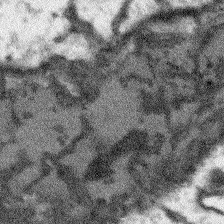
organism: Arabidopsis thaliana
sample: Root tip